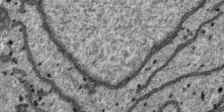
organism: Human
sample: Lung epithelial cells, uninfected (mock) control